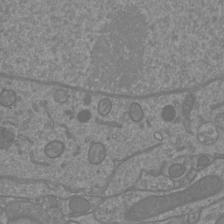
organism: Mouse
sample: Cortical neurons